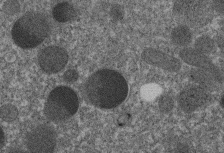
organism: C. elegans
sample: C. elegans embryo early stage